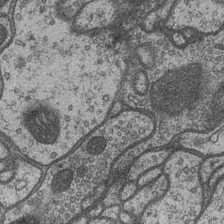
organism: Drosophila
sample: Optic medulla